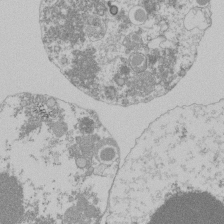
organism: Mouse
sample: Activated Pmel transgenic CD8+ T Cells